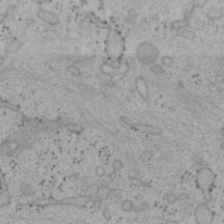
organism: Human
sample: HeLa cells